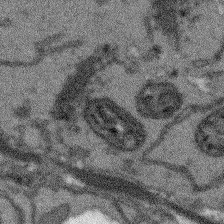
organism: Arabidopsis thaliana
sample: Root tip